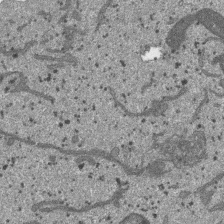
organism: Human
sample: Lung epithelial cells infected with SARS-CoV-2